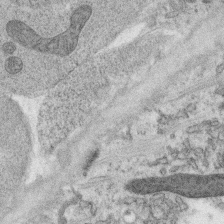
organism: C. elegans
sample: C. elegans oocyte; sperm cells